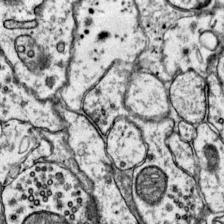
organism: Mouse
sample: Primary visual cortex